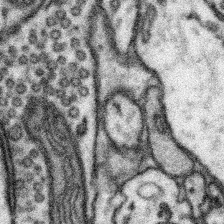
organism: Mouse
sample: Somatosensory cortex neuropil